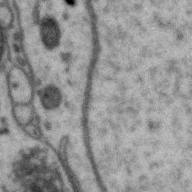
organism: Zebra finch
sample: Brain